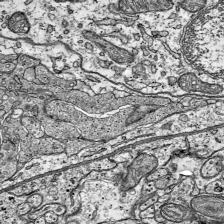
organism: Mouse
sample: Visual Cortex